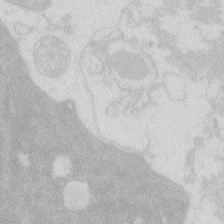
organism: Zebrafish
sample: Macrophage